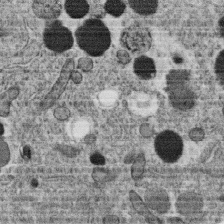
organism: C. elegans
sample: C. elegans oocyte; sperm cells